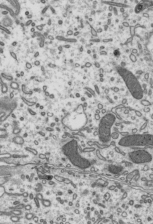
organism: Mouse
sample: Mouse epididymis efferent ductule cilia